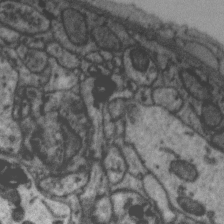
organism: Zebra finch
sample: Brain